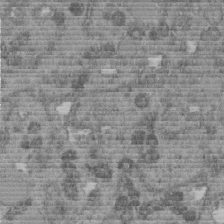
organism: C. elegans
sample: C. elegans embryo early stage